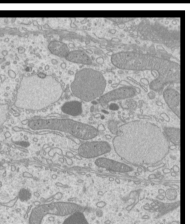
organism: Mouse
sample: Cilia; mouse epididymis